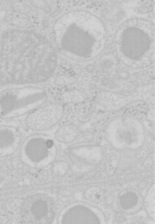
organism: Mouse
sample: Pancreas